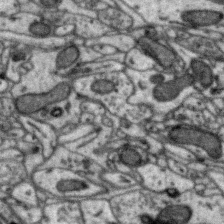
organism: Zebra finch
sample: Brain